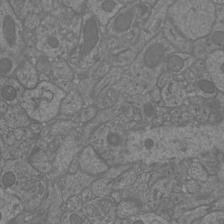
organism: Mouse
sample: Cortical neurons